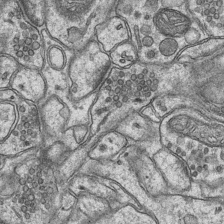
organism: Mouse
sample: CA1 Hippocampus